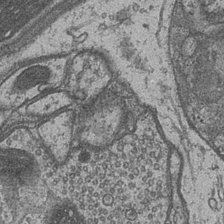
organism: Drosophila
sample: Optic medulla